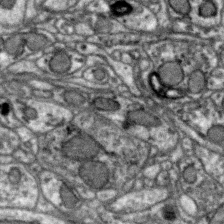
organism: Zebra finch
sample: Brain